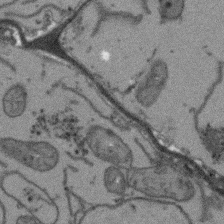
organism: Arabidopsis thaliana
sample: Root tip